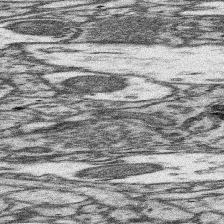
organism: Mouse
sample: Somatosensory cortex neuropil